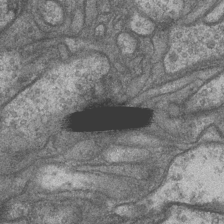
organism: Drosophila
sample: Optic medulla